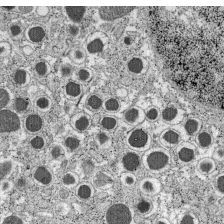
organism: C57BL Mouse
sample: Pancreatic islet